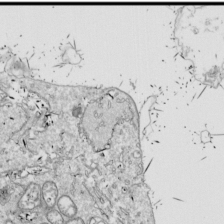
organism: Drosophila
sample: Cell division; meiosis; drosophila spermatocytes